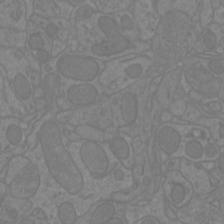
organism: Mouse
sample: Cortical neurons